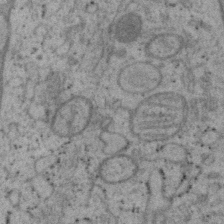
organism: Human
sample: HeLa cells